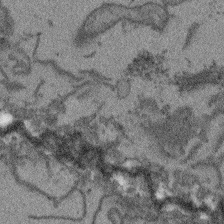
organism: Arabidopsis thaliana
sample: Root tip